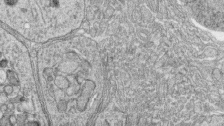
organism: Zebrafish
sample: synaptic ribbons in rod cells and cone cells